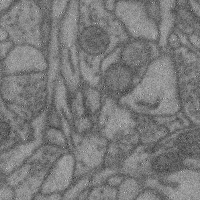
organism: Mouse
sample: Cerebral cortex